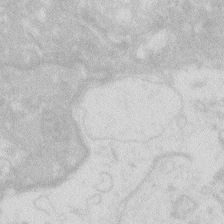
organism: Zebrafish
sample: Macrophage